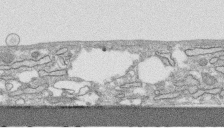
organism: Human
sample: CRL-1474